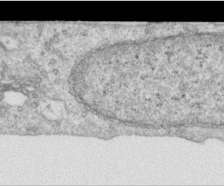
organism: Human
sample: Centriole in RPE cells